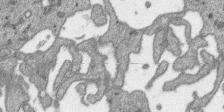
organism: Human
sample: Lung epithelial cells infected with SARS-CoV-2